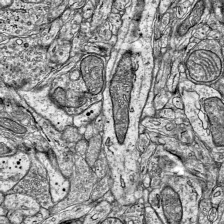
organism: Mouse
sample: Visual Cortex